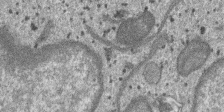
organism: Human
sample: Lung epithelial cells infected with SARS-CoV-2